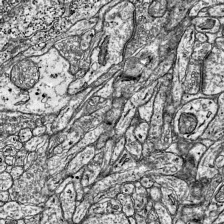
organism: Mouse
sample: Visual Cortex